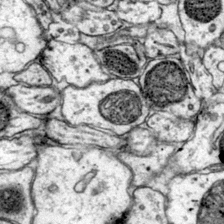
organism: Mouse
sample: Primary visual cortex